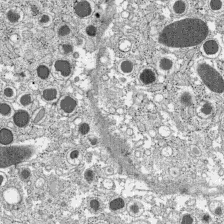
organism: C57BL Mouse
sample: Pancreatic islet